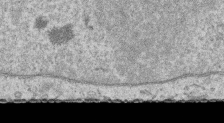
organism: Human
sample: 1205lu cells